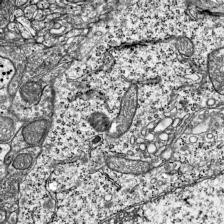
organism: Mouse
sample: Visual Cortex